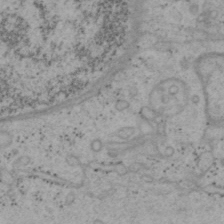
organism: Human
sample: HeLa cells